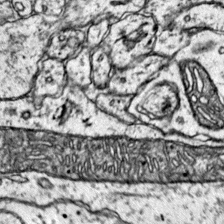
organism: Mouse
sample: Primary visual cortex